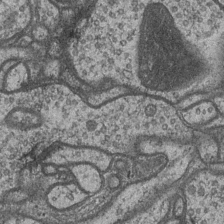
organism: Drosophila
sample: Optic medulla